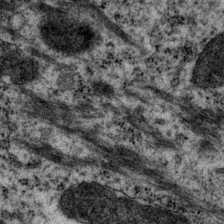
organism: P. pacificus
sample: Pharynx